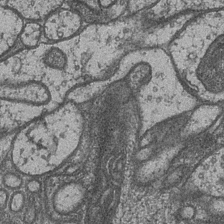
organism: Drosophila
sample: Optic medulla